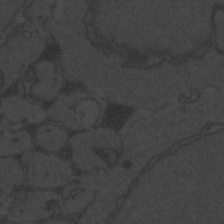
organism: Zebrafish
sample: Macrophage infected with Toxoplasma gondii